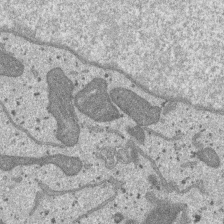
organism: Human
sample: Lung epithelial cells infected with SARS-CoV-2